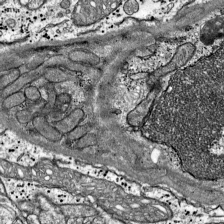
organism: Mouse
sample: Visual Cortex